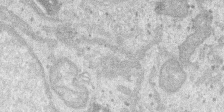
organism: Human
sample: Lung epithelial cells infected with SARS-CoV-2